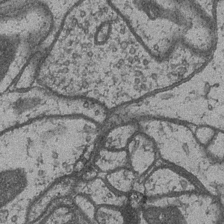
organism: Drosophila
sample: Optic medulla